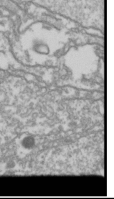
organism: Drosophila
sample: Cell division; meiosis; drosophila spermatocytes